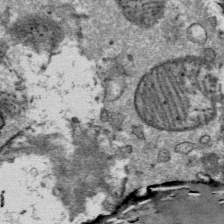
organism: Mouse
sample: Mouse Salivary gland